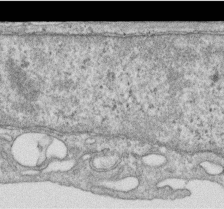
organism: Human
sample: Centriole in RPE cells